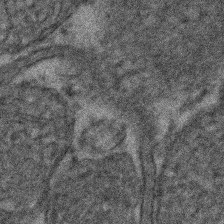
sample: Kidney